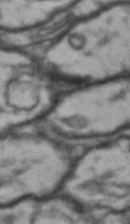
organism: Drosophila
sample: Brain